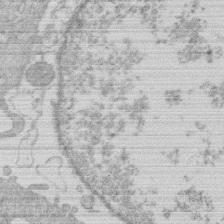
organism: Human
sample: Macrophage cells